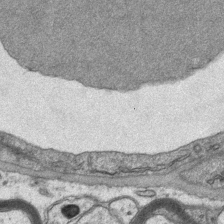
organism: Mouse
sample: CA1 Hippocampus